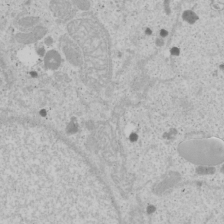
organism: Human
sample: Mitochondria in U2OS cells